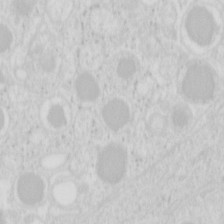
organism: Mouse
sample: Pancreas